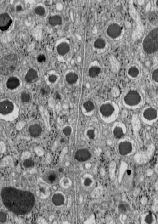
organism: C57BL Mouse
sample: Pancreatic islet